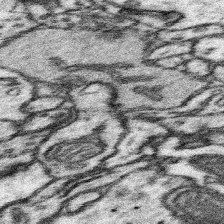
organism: Mouse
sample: Somatosensory cortex neuropil